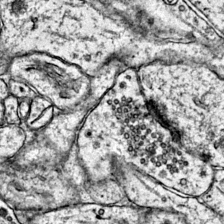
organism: Mouse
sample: Primary visual cortex